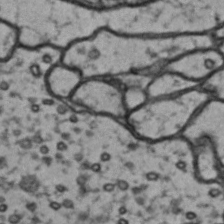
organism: Drosophila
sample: Brain